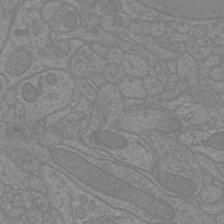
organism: Mouse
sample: Cortical neurons